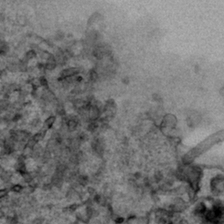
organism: Human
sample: Mitochondria in HCT116 cells